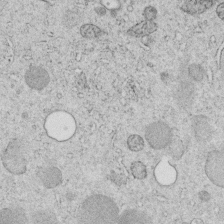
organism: C. elegans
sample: C. elegans embryo early stage